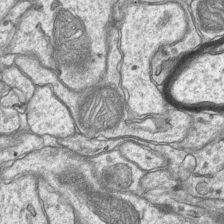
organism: Mouse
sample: CA1 Hippocampus